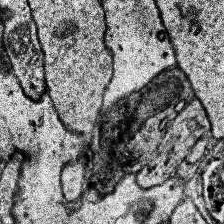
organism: Human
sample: Temporal Lobe